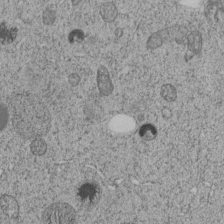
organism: C. elegans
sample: C. elegans embryo early stage